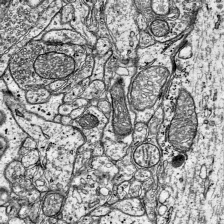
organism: Mouse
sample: Visual Cortex